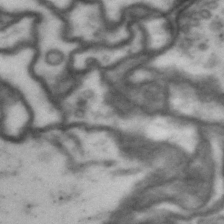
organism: Drosophila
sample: Brain